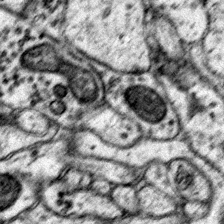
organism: Mouse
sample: Primary visual cortex